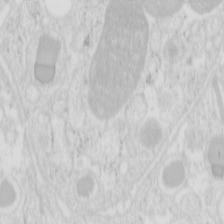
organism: Mouse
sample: Pancreas